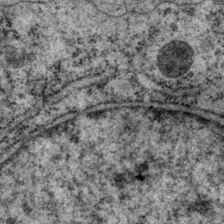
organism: P. pacificus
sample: Pharynx